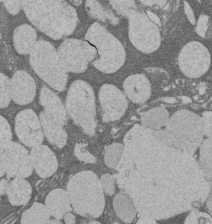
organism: Rat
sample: Salivary granule